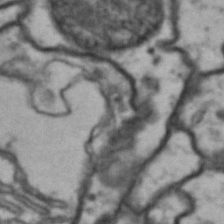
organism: Drosophila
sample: Brain